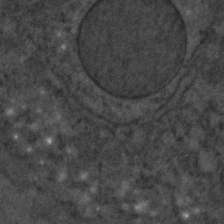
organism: C. elegans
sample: C. elegans embryo